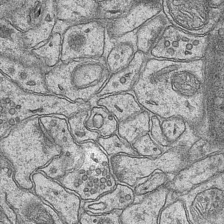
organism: Mouse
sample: CA1 Hippocampus